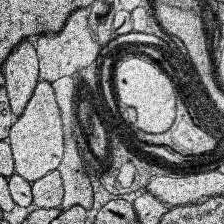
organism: Human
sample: Temporal Lobe